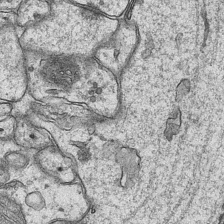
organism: Mouse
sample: CA1 Hippocampus